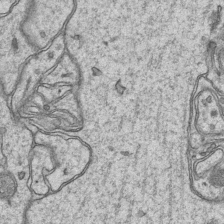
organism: Mouse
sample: CA1 Hippocampus